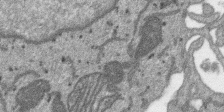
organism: Human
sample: Lung epithelial cells infected with SARS-CoV-2